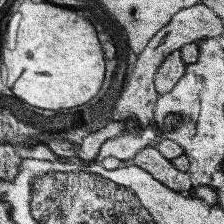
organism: Human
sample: Temporal Lobe